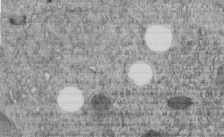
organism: C. elegans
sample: C. elegans embryo early stage